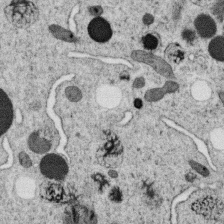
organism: C. elegans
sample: C. elegans oocyte; sperm cells